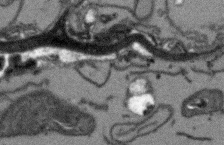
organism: Arabidopsis thaliana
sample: Root tip